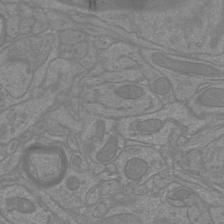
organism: Mouse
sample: Cortical neurons